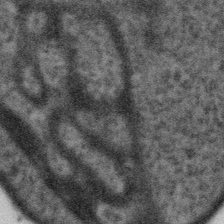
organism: Gemmata obscuriglobus